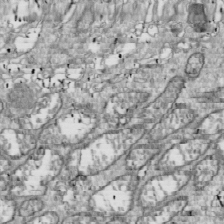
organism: Drosophila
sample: Cell division; meiosis; drosophila spermatocytes